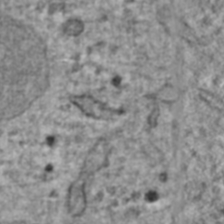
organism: Human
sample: Blood